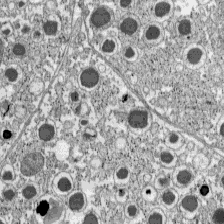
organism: C57BL Mouse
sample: Pancreatic islet